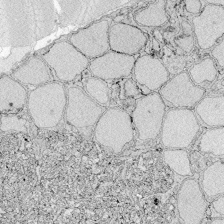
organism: Zebrafish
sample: Whole-Brain